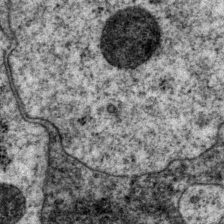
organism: P. pacificus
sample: Pharynx